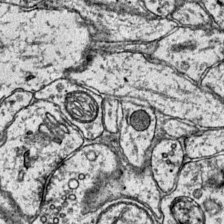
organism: Mouse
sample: Primary visual cortex